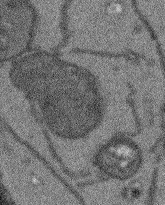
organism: Arabidopsis thaliana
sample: Root tip